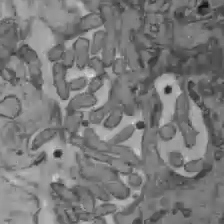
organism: C57BL Mouse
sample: Liver